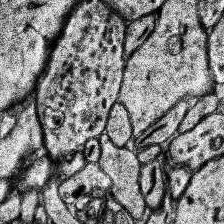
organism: Human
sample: Temporal Lobe